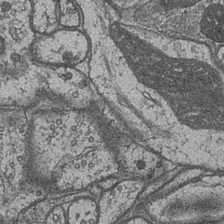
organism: Drosophila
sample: Optic medulla